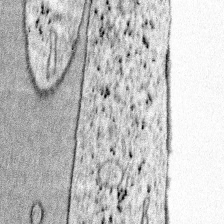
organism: Human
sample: HeLa cells